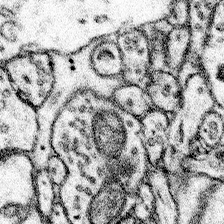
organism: Mouse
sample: Somatosensory cortex neuropil